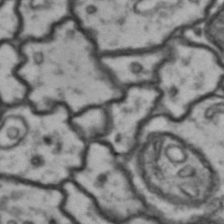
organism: Drosophila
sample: Brain